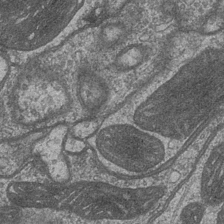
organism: Drosophila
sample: Optic medulla